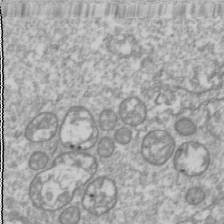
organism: Drosophila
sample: Cell division; meiosis; drosophila spermatocytes